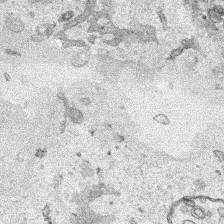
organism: Human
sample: Mitochondria in HCT116 cells